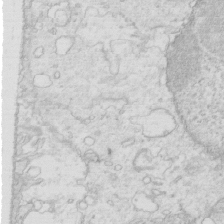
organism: Mouse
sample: Multiciliated cells